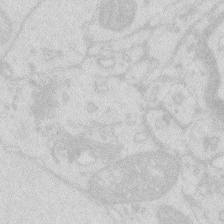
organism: Zebrafish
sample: Macrophage